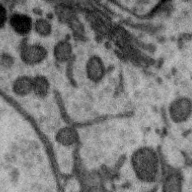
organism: Zebra finch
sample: Brain